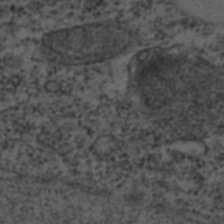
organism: C. elegans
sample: C. elegans embryo